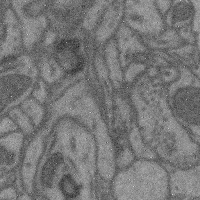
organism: Mouse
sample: Cerebral cortex